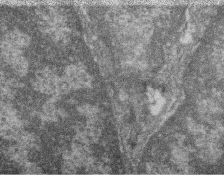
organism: Zebrafish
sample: Cilia; retinal pigment epithelium